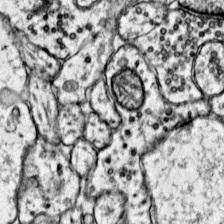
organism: Mouse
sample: Primary visual cortex